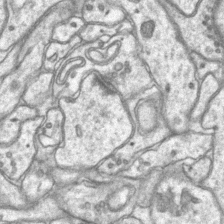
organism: Mouse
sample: CA1 Hippocampus